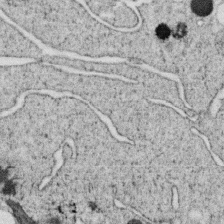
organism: C. elegans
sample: C. elegans oocyte; sperm cells